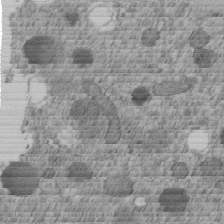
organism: C. elegans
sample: C. elegans embryo early stage